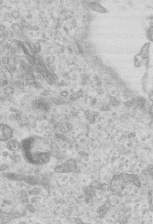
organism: Mouse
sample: Centriole in ependymal cells